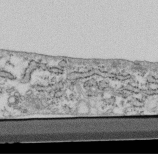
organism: Mouse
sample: Cilia; retinal pigment epithelium